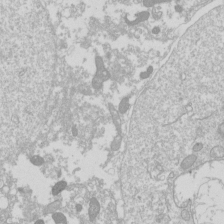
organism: Drosophila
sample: Cell division; meiosis; drosophila spermatocytes